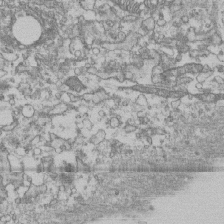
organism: Human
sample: Fibroblast cells